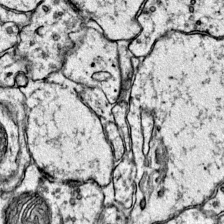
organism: Mouse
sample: Primary visual cortex